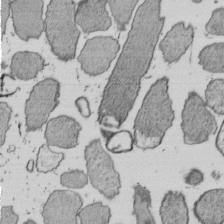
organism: E. coli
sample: Bacterial nucleoid